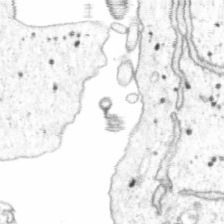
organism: Human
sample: HeLa cells